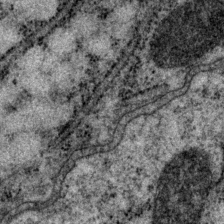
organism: P. pacificus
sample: Pharynx